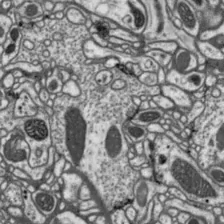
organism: Drosophila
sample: Protocerebral bridge